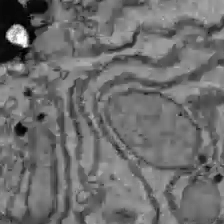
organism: C57BL Mouse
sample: Liver